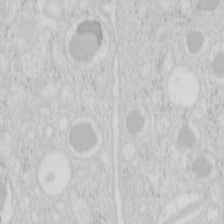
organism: Mouse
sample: Pancreas